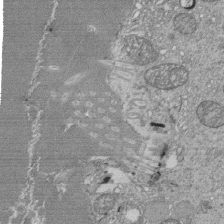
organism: Tetrahymena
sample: Cilia in tetrahymena